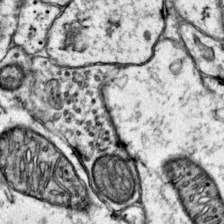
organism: Mouse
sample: Primary visual cortex